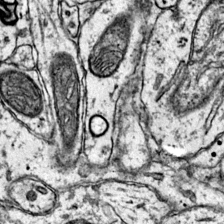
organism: Mouse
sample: Primary visual cortex